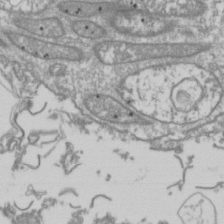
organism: Drosophila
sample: Cell division; meiosis; drosophila spermatocytes